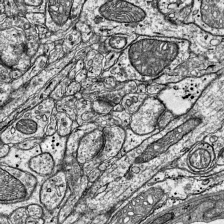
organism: Mouse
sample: Visual Cortex